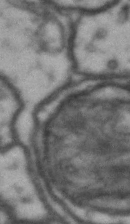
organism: Drosophila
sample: Brain